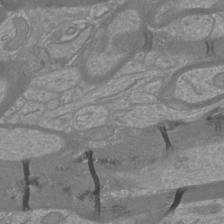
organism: Mouse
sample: Cortical neurons